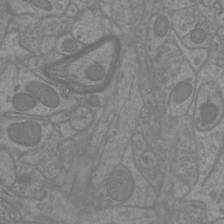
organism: Mouse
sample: Cortical neurons